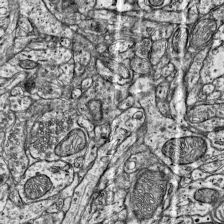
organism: Mouse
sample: Visual Cortex